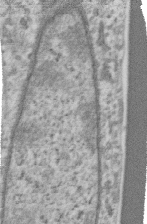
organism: Human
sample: Centriole in RPE cells